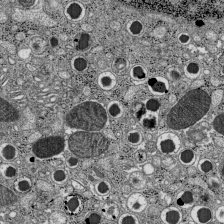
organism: C57BL Mouse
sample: Pancreatic islet